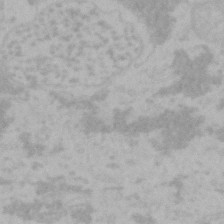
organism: Mouse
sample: Choroid plexus